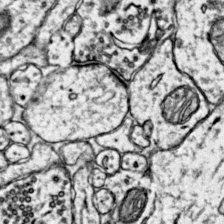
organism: Mouse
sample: Primary visual cortex